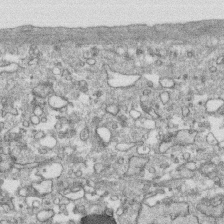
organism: Human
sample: CRL-1474